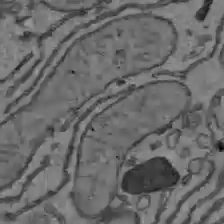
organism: C57BL Mouse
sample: Liver